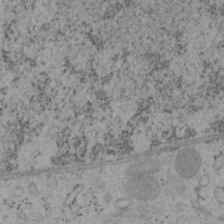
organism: Human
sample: HeLa cells